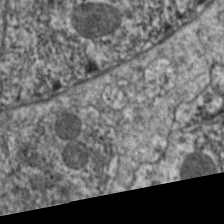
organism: C. elegans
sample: Pharynx